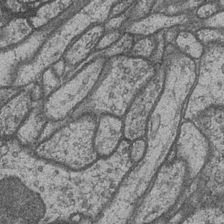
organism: Drosophila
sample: Optic medulla